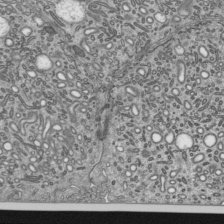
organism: Mouse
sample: Mouse epididymis efferent ductule cilia